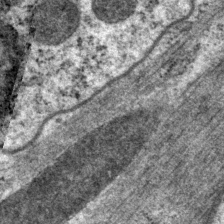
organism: P. pacificus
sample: Pharynx